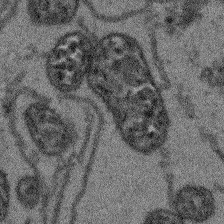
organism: Arabidopsis thaliana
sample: Root tip